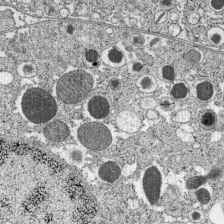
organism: C57BL Mouse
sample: Pancreatic islet